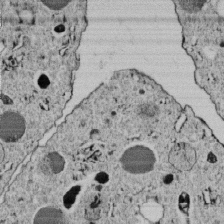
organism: C. elegans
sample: C. elegans embryo early stage